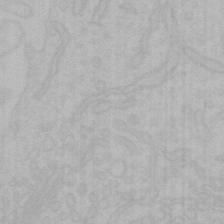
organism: Mouse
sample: Choroid plexus